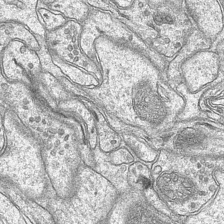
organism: Mouse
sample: CA1 Hippocampus